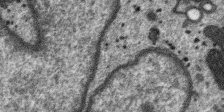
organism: Human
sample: Lung epithelial cells infected with SARS-CoV-2